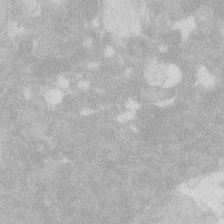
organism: Zebrafish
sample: Macrophage